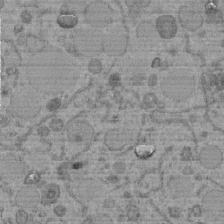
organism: C. elegans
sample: C. elegans embryo early stage